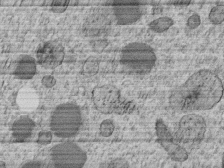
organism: C. elegans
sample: C. elegans embryo early stage